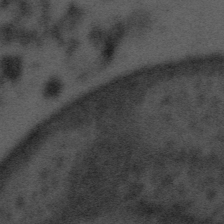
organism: Tuwongella immobilis